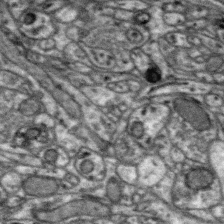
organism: Zebra finch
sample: Brain